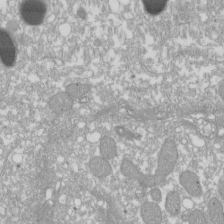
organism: Xenopus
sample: Cilia; centrioles in frog embryo cells